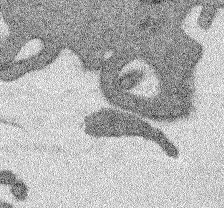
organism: Human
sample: HeLa cells